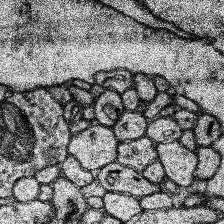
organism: Human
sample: Temporal Lobe